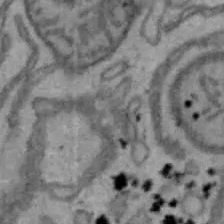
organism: Mouse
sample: Liver